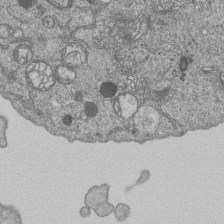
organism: Human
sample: MDA-MB-231 cells